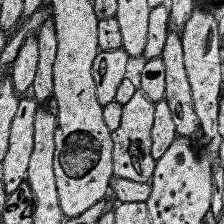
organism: Human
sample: Temporal Lobe